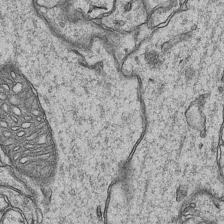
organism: Mouse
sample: CA1 Hippocampus